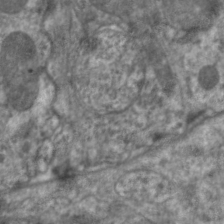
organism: C. elegans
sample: Pharynx